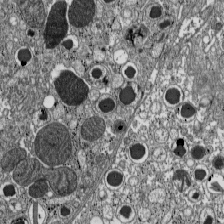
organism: C57BL Mouse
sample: Pancreatic islet